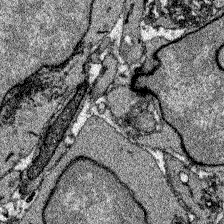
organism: Zebrafish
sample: Larval olfactory bulb